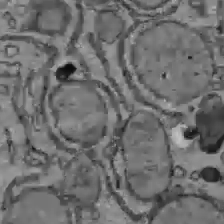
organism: C57BL Mouse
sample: Liver